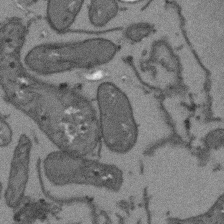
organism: Arabidopsis thaliana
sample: Root tip